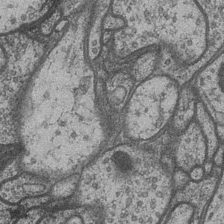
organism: Drosophila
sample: Optic medulla